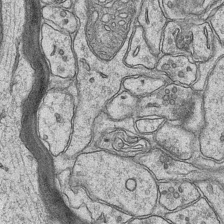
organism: Mouse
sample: CA1 Hippocampus